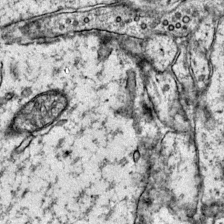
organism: Mouse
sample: Primary visual cortex